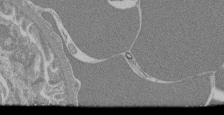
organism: Mouse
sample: Glomerulus